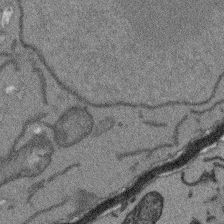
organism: Arabidopsis thaliana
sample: Root tip